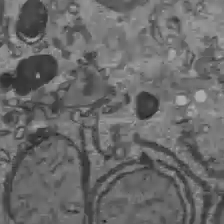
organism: C57BL Mouse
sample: Liver